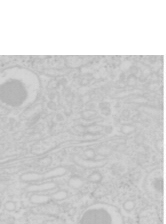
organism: Mouse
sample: Pancreas